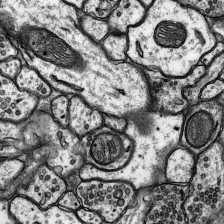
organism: Rat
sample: Hippocampus